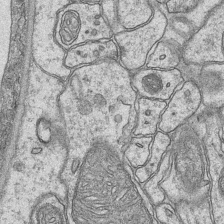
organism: Mouse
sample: CA1 Hippocampus